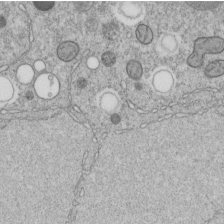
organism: C. elegans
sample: C. elegans embryo early stage